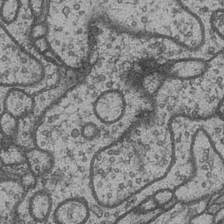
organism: Drosophila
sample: Optic medulla